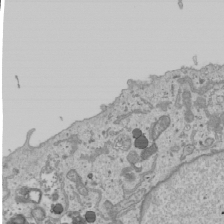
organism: Human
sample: Mitochondria in U2OS cells